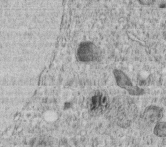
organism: C. elegans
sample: C. elegans embryo early stage